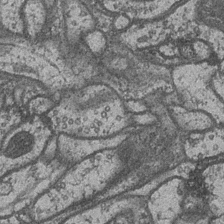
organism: Drosophila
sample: Optic medulla